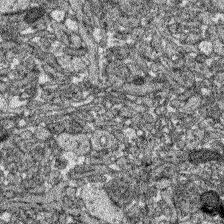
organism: Zebrafish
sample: Larval olfactory bulb